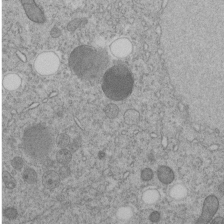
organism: C. elegans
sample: C. elegans embryo early stage